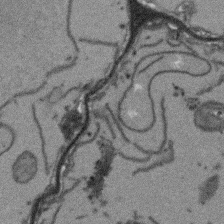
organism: Arabidopsis thaliana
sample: Root tip